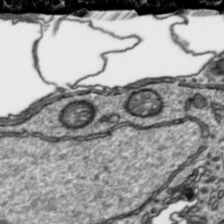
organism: Toxoplasma gondii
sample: Parasites in a vacuole inside a host cell